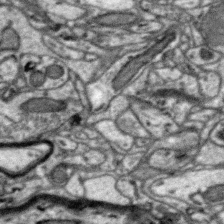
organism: Zebra finch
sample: Brain